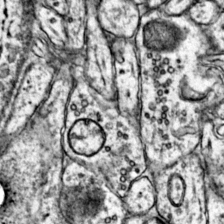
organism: Mouse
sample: Primary visual cortex